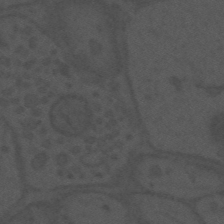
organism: Mouse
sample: Suprachiasmatic nucleus